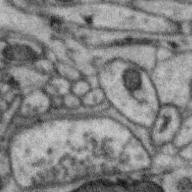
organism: Zebra finch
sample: Brain